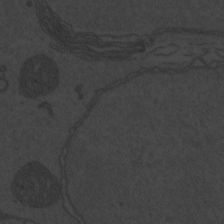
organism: Zebrafish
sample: Macrophage infected with Toxoplasma gondii